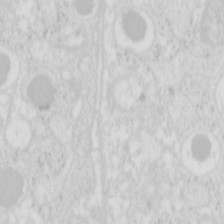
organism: Mouse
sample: Pancreas